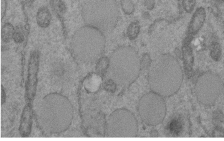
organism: C. elegans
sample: C. elegans embryo early stage